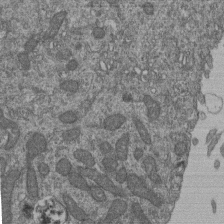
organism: Human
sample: Retinal organoid Rod and Cone cells